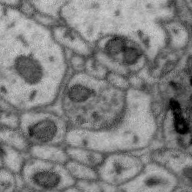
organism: Zebra finch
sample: Brain